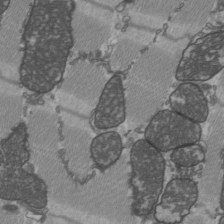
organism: C57BL Mouse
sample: Heart